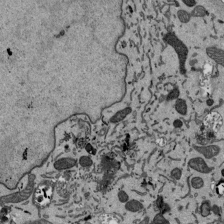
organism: Mouse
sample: ED-1 cell nuclei; centrioles